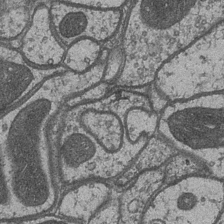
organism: Drosophila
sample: Optic medulla